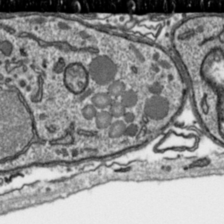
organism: Toxoplasma gondii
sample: Parasites in a vacuole inside a host cell